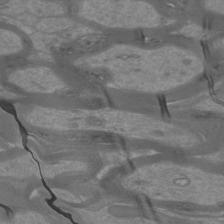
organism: Mouse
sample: Cortical neurons